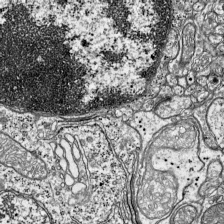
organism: Mouse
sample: Visual Cortex